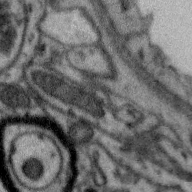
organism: Zebra finch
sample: Brain